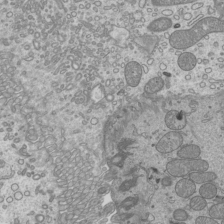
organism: Mouse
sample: Cilia; mouse epididymis